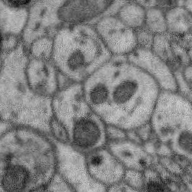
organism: Zebra finch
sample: Brain